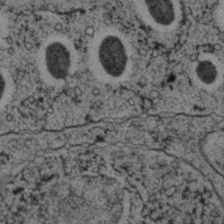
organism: C. elegans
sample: C. elegans embryo